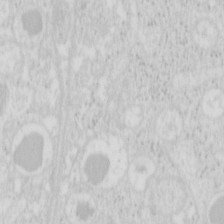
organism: Mouse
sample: Pancreas